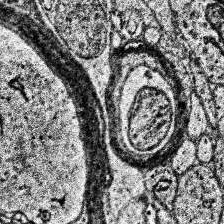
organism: Human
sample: Temporal Lobe